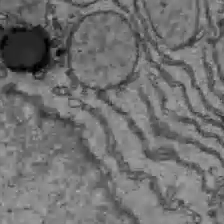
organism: C57BL Mouse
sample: Liver